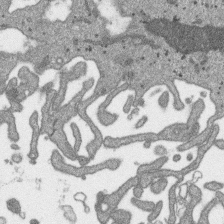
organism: Human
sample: Lung epithelial cells infected with SARS-CoV-2